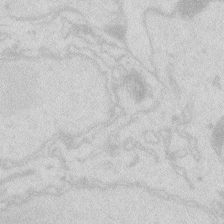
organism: Zebrafish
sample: Macrophage